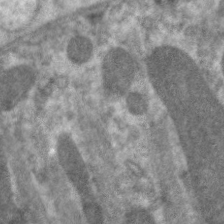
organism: C. elegans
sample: Pharynx